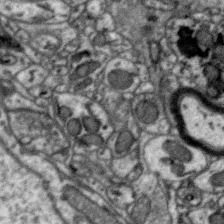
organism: Zebra finch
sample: Brain